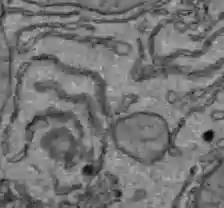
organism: C57BL Mouse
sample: Liver